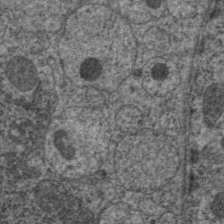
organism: C. elegans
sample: Pharynx